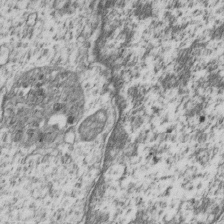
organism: Human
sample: MDA-MB-231 cells